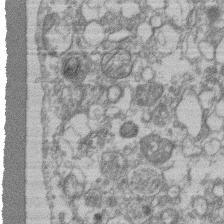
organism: Mouse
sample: T cell stromal cell synapse